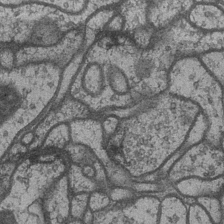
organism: Drosophila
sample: Optic medulla